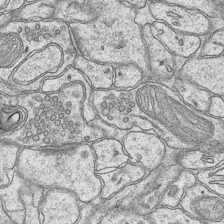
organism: Mouse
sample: CA1 Hippocampus